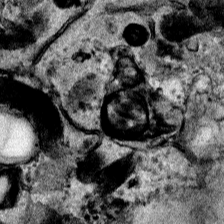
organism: Human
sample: Mitochondria in HCT116 cells